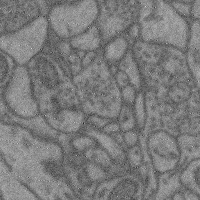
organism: Mouse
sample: Cerebral cortex